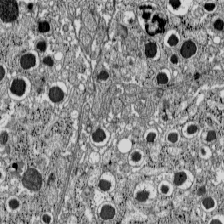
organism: C57BL Mouse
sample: Pancreatic islet